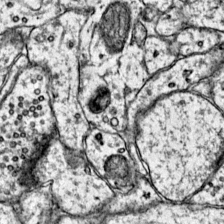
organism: Mouse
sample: Primary visual cortex